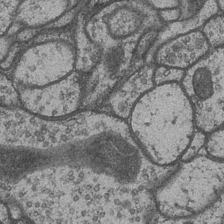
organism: Drosophila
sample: Optic medulla